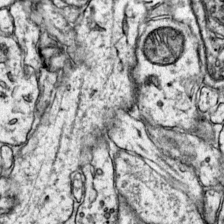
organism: Mouse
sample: Primary visual cortex